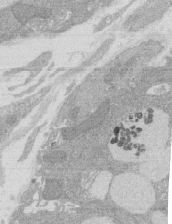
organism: Rat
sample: Salivary granule